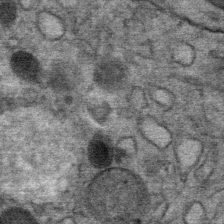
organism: Mouse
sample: Mouse Salivary gland